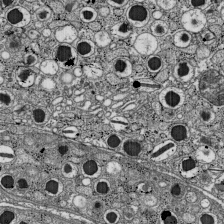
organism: C57BL Mouse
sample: Pancreatic islet